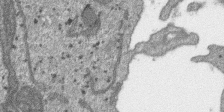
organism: Human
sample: Lung epithelial cells infected with SARS-CoV-2